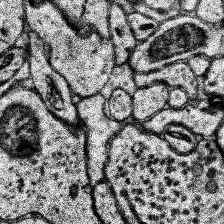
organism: Human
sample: Temporal Lobe